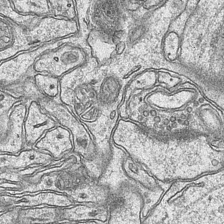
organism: Mouse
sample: CA1 Hippocampus